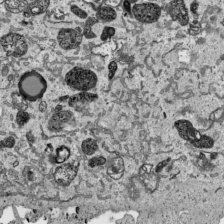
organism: Human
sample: Mitochondria in HCT116 cells